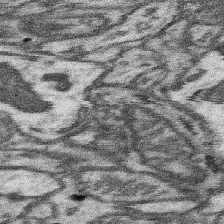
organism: Mouse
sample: Somatosensory cortex neuropil